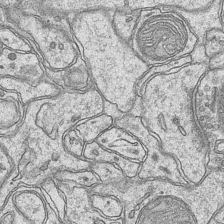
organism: Mouse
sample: CA1 Hippocampus